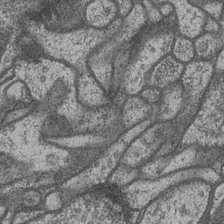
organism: Drosophila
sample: Optic medulla